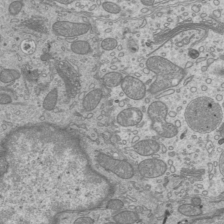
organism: Mouse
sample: Cilia; mouse epididymis